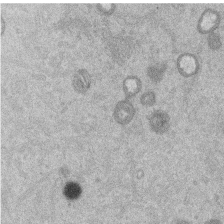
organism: Mouse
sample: Dividing mouse embryo 1 cell stage